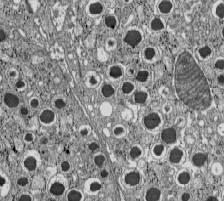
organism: C57BL Mouse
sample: Pancreatic islet